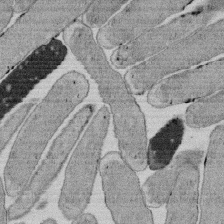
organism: E. coli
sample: Bacterial nucleoid